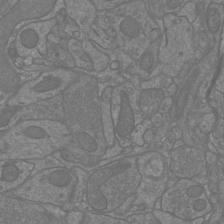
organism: Mouse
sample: Cortical neurons